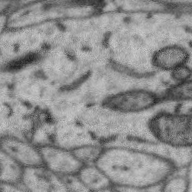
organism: Zebra finch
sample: Brain